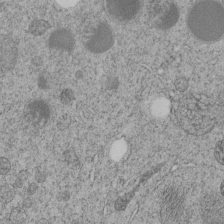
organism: C. elegans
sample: C. elegans embryo early stage